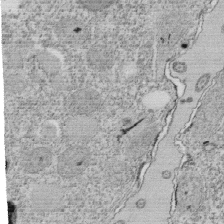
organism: Tetrahymena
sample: Cilia in tetrahymena